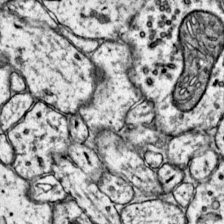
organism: Mouse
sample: Primary visual cortex